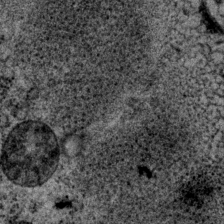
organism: P. pacificus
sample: Pharynx